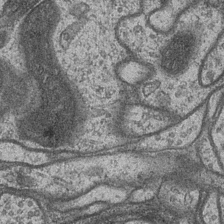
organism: Drosophila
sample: Optic medulla